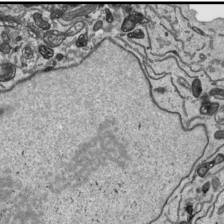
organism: Human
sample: Mitochondria in HCT116 cells